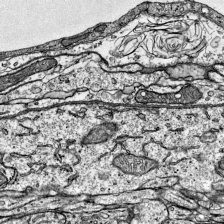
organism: Mouse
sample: Visual Cortex